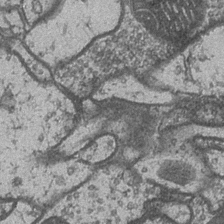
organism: Drosophila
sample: Optic medulla